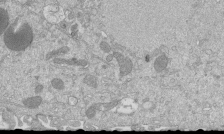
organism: Mouse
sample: ED-1 cell nuclei; centrioles